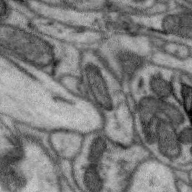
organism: Zebra finch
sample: Brain